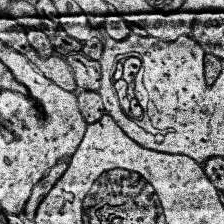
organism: Human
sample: Temporal Lobe